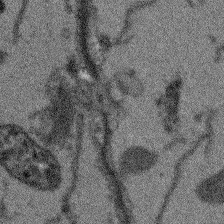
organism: Arabidopsis thaliana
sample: Root tip